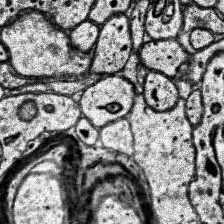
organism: Human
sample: Temporal Lobe